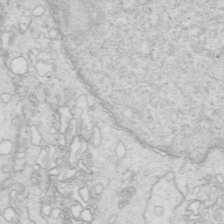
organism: Mouse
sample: Multiciliated cells